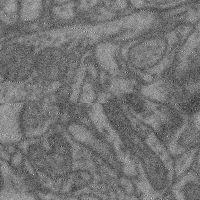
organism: Mouse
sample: Cerebral cortex